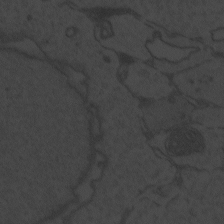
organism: Zebrafish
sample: Macrophage infected with Toxoplasma gondii